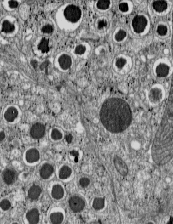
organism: C57BL Mouse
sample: Pancreatic islet